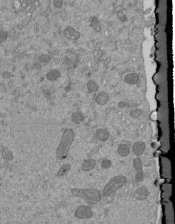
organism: Mouse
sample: ED-1 cell nuclei; centrioles